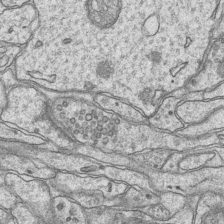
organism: Mouse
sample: CA1 Hippocampus